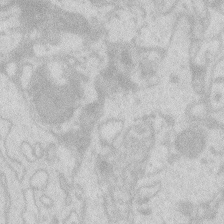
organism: Zebrafish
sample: Macrophage